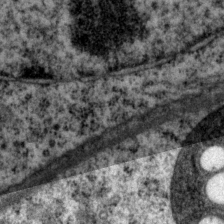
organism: P. pacificus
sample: Pharynx